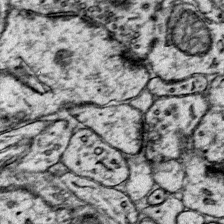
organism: Mouse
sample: Primary visual cortex